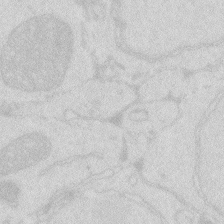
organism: Zebrafish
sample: Macrophage